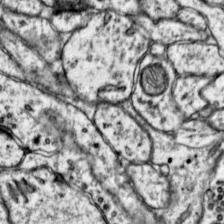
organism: Mouse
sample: Primary visual cortex